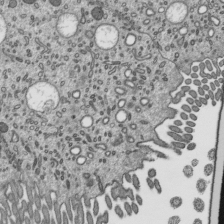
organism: Mouse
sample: Mouse epididymis efferent ductule cilia